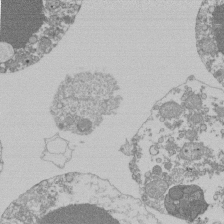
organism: Mouse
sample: Activated Pmel transgenic CD8+ T Cells